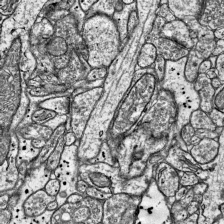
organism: Mouse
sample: Visual Cortex